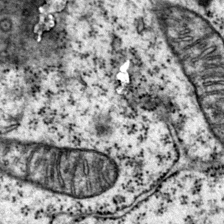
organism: Mouse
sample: Primary visual cortex